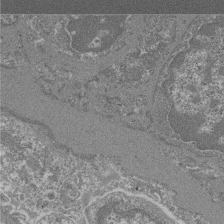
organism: Mouse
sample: Glomerulus